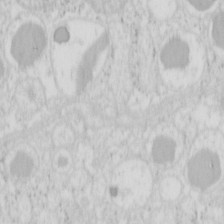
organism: Mouse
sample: Pancreas